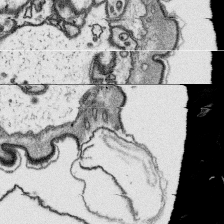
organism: Platynereis dumerilii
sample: Parapodia